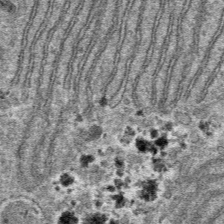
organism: Mouse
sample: Mouse hepatocytes